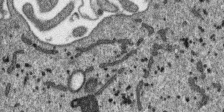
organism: Human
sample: Lung epithelial cells infected with SARS-CoV-2